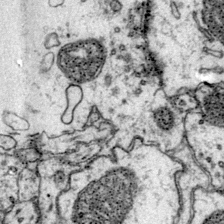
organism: Mouse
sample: Primary visual cortex